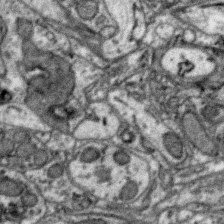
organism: Zebra finch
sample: Brain